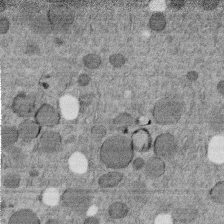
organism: C. elegans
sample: C. elegans embryo early stage